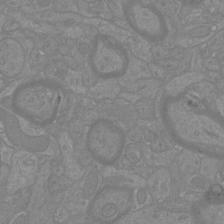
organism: Mouse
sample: Cortical neurons